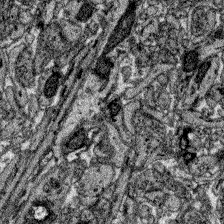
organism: Zebrafish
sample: Larval olfactory bulb